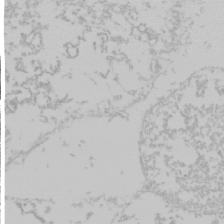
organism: Mouse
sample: Cancer cell death in ED-1 cells